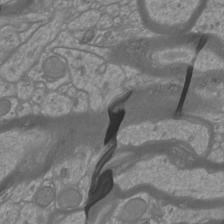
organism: Mouse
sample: Cortical neurons